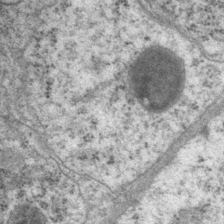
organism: P. pacificus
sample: Pharynx